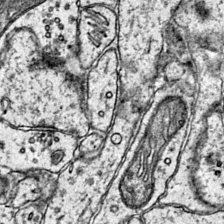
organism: Mouse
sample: Primary visual cortex